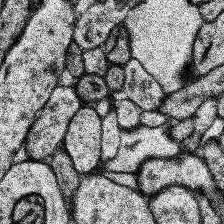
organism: Human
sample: Temporal Lobe